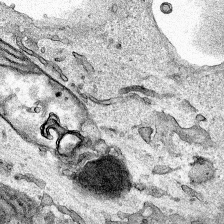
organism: Human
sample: Mitochondria in HCT116 cells